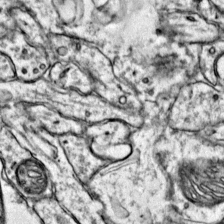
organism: Mouse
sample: Primary visual cortex